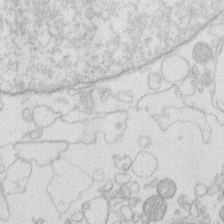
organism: Human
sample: Macrophage cells